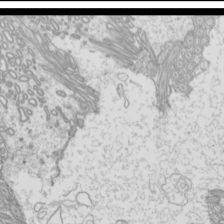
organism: Mouse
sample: Cilia; mouse epididymis